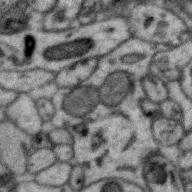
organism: Zebra finch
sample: Brain